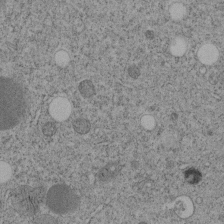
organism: C. elegans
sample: C. elegans embryo early stage